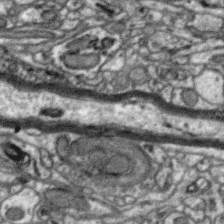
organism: Zebra finch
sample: Brain